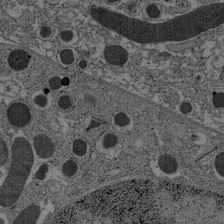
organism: C57BL Mouse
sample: Pancreatic islet